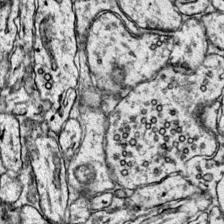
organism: Mouse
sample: Primary visual cortex